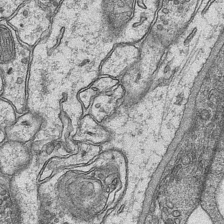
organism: Mouse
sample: CA1 Hippocampus